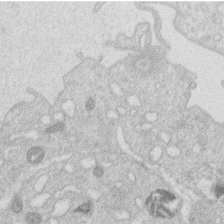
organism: Human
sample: Macrophage cells